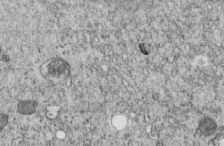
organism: C. elegans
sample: C. elegans embryo early stage